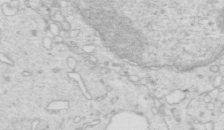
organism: Mouse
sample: Multiciliated cells